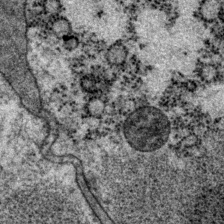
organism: P. pacificus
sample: Pharynx